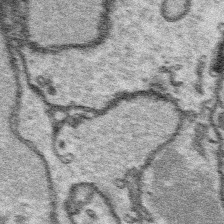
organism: Platynereis dumerilii